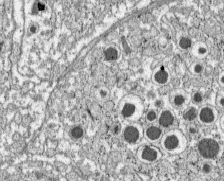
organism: C57BL Mouse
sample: Pancreatic islet